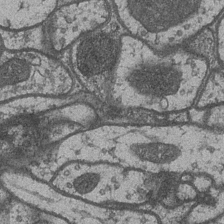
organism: Drosophila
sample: Optic medulla